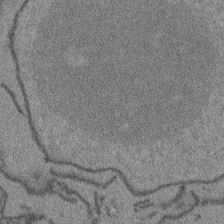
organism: Arabidopsis thaliana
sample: Root tip